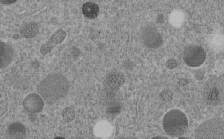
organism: C. elegans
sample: C. elegans embryo early stage